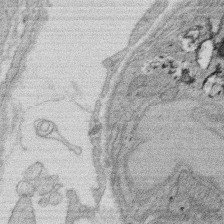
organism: Rat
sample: Salivary granule